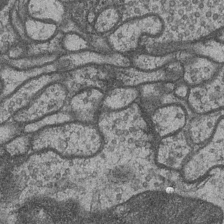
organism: Drosophila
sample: Optic medulla